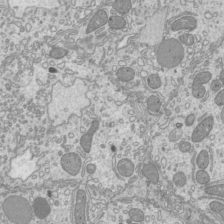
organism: Mouse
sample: Cilia; mouse epididymis